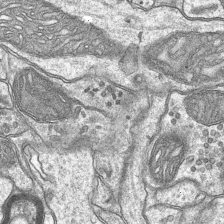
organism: Mouse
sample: CA1 Hippocampus